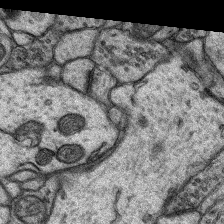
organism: Rat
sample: Hippocampus